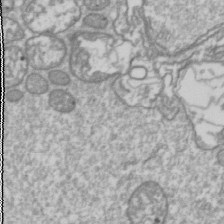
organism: Drosophila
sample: Cell division; meiosis; drosophila spermatocytes